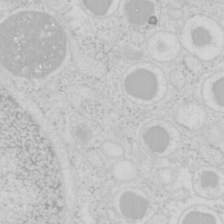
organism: Mouse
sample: Pancreas